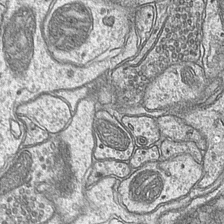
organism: Mouse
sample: CA1 Hippocampus